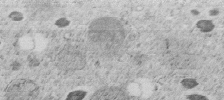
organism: C. elegans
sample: C. elegans embryo early stage